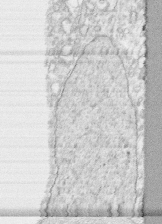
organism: Human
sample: CRL-1474